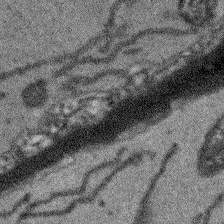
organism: Arabidopsis thaliana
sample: Root tip